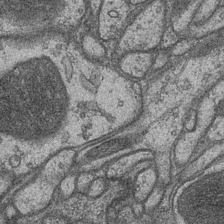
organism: Drosophila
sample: Optic medulla